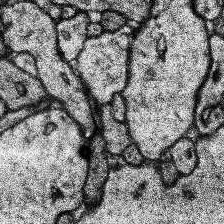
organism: Human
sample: Temporal Lobe